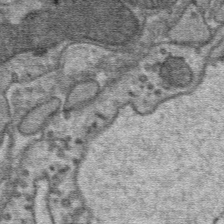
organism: Mouse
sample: Mouse Salivary gland